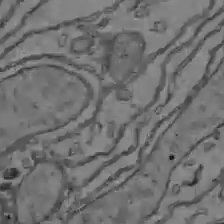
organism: C57BL Mouse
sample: Liver